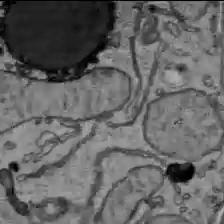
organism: C57BL Mouse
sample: Liver